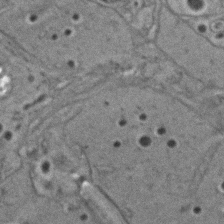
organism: C. elegans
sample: C. elegans embryo